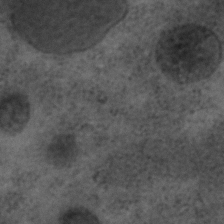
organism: C. elegans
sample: C. elegans embryo